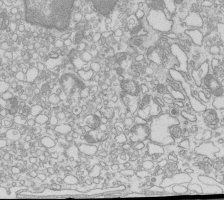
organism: Mouse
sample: Macrophages